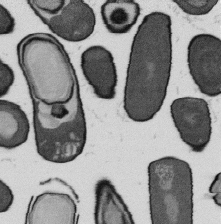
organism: B. subtilis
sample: Bacterial spore